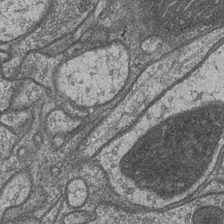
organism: Drosophila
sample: Optic medulla